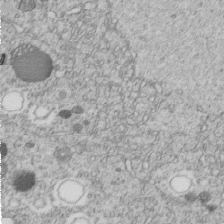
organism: C. elegans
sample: C. elegans embryo early stage